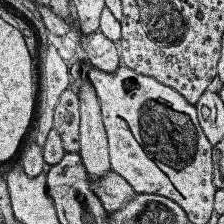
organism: Human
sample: Temporal Lobe